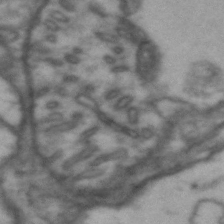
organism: Drosophila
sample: Brain